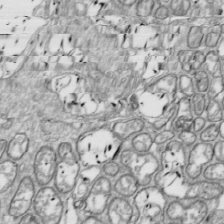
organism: Drosophila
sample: Cell division; meiosis; drosophila spermatocytes